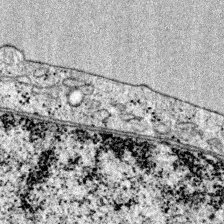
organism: Human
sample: HeLa cells